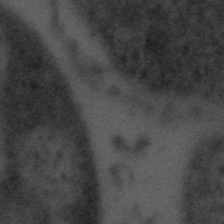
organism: Tuwongella immobilis